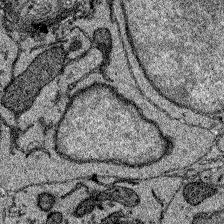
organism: Zebrafish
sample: Larval olfactory bulb